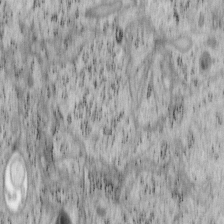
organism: Human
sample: HeLa cells